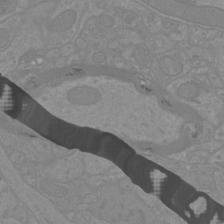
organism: Mouse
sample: Cortical neurons